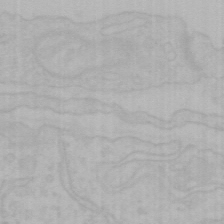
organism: Mouse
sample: Choroid plexus